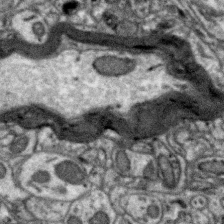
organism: Zebra finch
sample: Brain